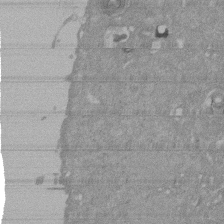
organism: Mouse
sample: ED-1 cell nuclei; centrioles